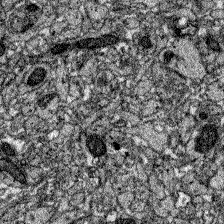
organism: Zebrafish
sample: Larval olfactory bulb